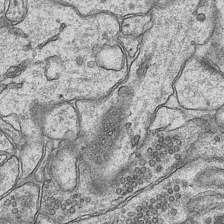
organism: Mouse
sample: CA1 Hippocampus